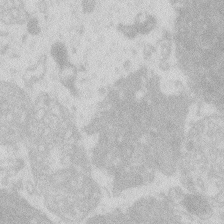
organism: Zebrafish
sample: Macrophage